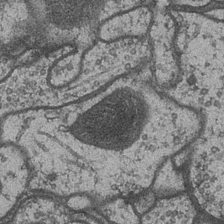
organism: Drosophila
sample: Optic medulla